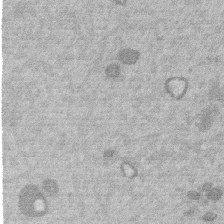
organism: Mouse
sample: Dividing mouse embryo 1 cell stage